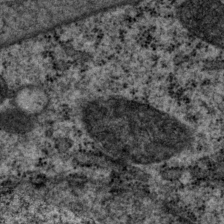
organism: P. pacificus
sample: Pharynx